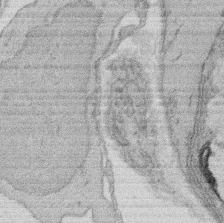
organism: Rat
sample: Salivary granule